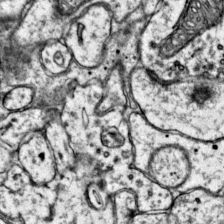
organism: Mouse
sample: Primary visual cortex